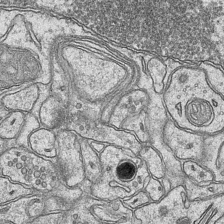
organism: Mouse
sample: CA1 Hippocampus